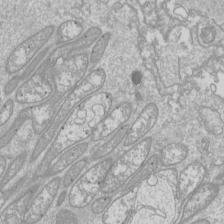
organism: Drosophila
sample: Cell division; meiosis; drosophila spermatocytes